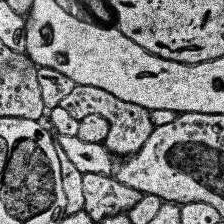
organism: Human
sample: Temporal Lobe